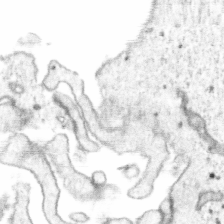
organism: Human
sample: HeLa cells